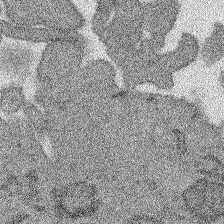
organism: Human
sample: HeLa cells